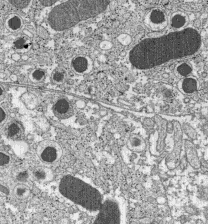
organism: C57BL Mouse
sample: Pancreatic islet